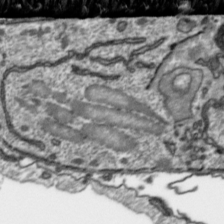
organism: Toxoplasma gondii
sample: Parasites in a vacuole inside a host cell